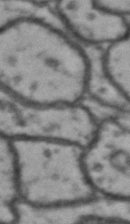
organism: Drosophila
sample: Brain